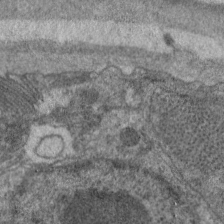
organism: C. elegans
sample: Pharynx